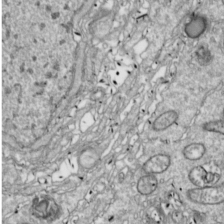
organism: Drosophila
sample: Cell division; meiosis; drosophila spermatocytes